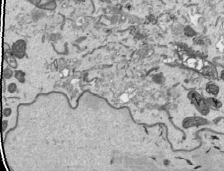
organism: Human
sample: Mitochondria in HCT116 cells